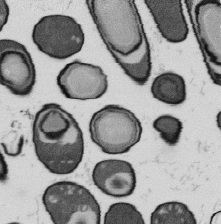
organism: B. subtilis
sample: Bacterial spore